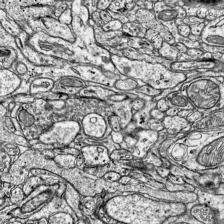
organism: Mouse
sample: Visual Cortex